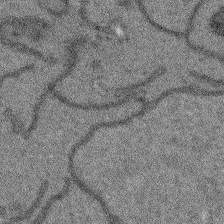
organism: Arabidopsis thaliana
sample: Root tip